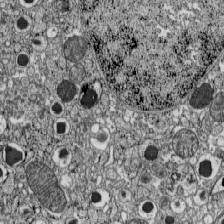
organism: C57BL Mouse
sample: Pancreatic islet